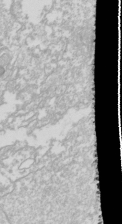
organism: Drosophila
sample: Cell division; meiosis; drosophila spermatocytes